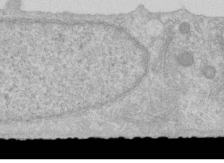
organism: Human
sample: Centriole in RPE cells